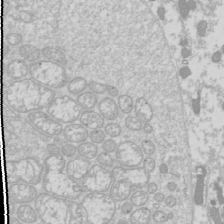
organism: Drosophila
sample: Cell division; meiosis; drosophila spermatocytes